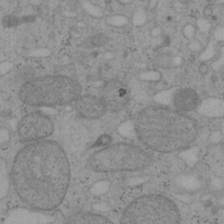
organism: Mouse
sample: OT-I killer T cells with ID8 ovarian cancer cells